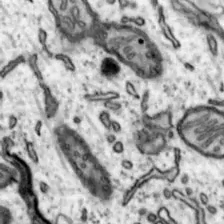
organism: Mouse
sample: Nucleus accumbens